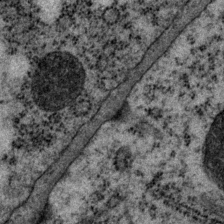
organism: P. pacificus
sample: Pharynx